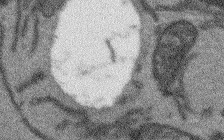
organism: Arabidopsis thaliana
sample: Root tip